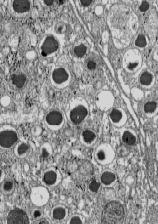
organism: C57BL Mouse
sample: Pancreatic islet